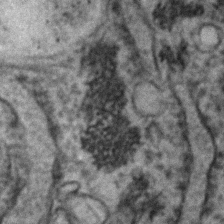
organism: Human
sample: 1205lu cells